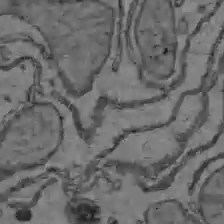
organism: C57BL Mouse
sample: Liver